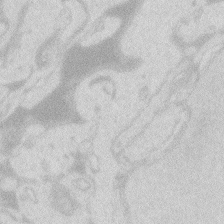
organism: Zebrafish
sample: Macrophage